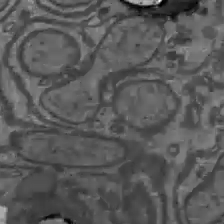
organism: C57BL Mouse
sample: Liver